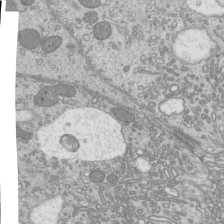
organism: Mouse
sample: Cilia; mouse epididymis